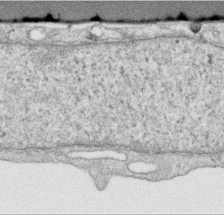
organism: Human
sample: Centriole in RPE cells